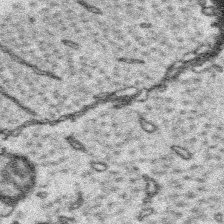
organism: Platynereis dumerilii